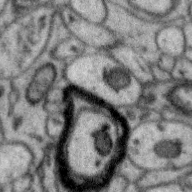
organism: Zebra finch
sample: Brain